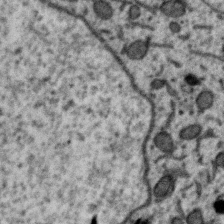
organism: Zebra finch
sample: Brain